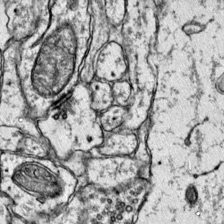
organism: Mouse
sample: Primary visual cortex